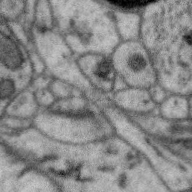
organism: Zebra finch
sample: Brain